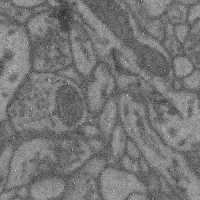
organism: Mouse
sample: Cerebral cortex